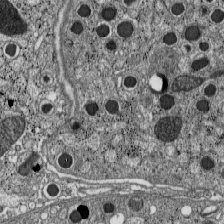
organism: C57BL Mouse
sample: Pancreatic islet